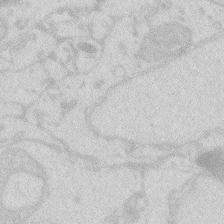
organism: Zebrafish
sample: Macrophage